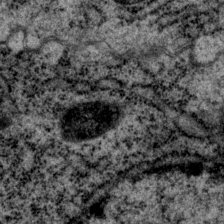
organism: P. pacificus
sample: Pharynx